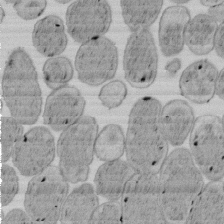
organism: E. coli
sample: Bacterial nucleoid